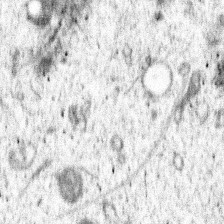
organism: Human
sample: HeLa cells